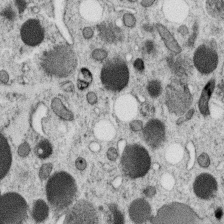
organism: C. elegans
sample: C. elegans oocyte; sperm cells